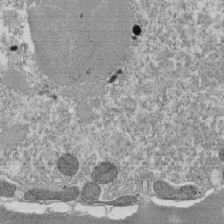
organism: Tetrahymena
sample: Cilia in tetrahymena